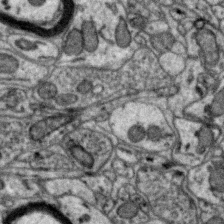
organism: Zebra finch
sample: Brain